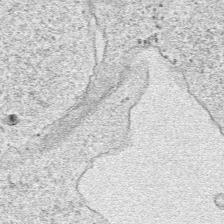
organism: Human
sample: Mitochondria in HCT116 cells